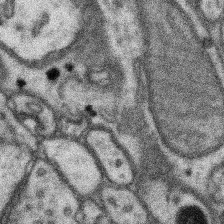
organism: Mouse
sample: Somatosensory cortex neuropil